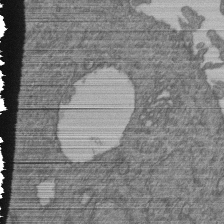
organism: Human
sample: Retinal organoid Rod and Cone cells